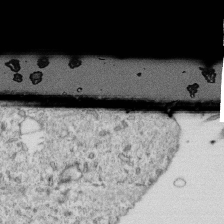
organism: Mouse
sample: Activated OT-1 CD8+ T cells